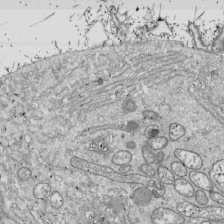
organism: Drosophila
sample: Cell division; meiosis; drosophila spermatocytes